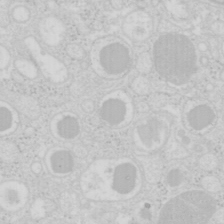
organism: Mouse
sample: Pancreas